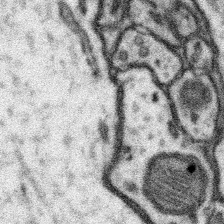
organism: Mouse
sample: Somatosensory cortex neuropil